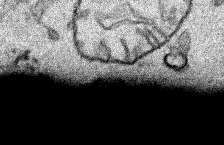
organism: Human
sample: Mitochondria in HCT116 cells